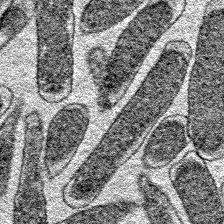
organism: E. coli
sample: E. Coli Bacteria